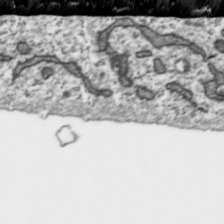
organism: Toxoplasma gondii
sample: Parasites in a vacuole inside a host cell